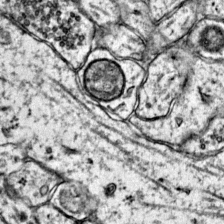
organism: Mouse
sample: Primary visual cortex